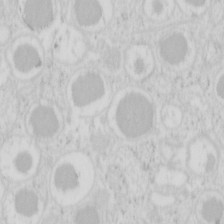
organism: Mouse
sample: Pancreas